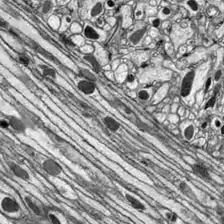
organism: Drosophila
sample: Optic lobe